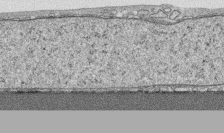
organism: Human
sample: CRL-1474